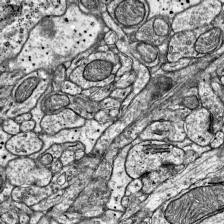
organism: Mouse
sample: Visual Cortex